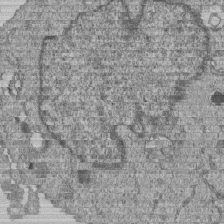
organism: Human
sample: MDA-MB-231 cells